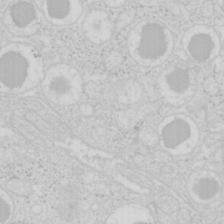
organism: Mouse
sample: Pancreas